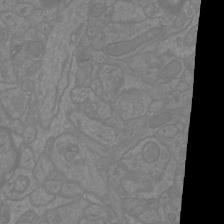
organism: Mouse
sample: Cortical neurons